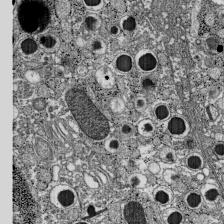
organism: C57BL Mouse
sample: Pancreatic islet